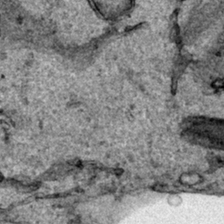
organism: Human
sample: Mitochondria in HCT116 cells